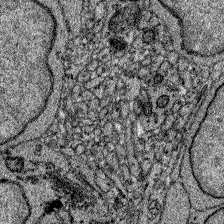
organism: Zebrafish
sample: Larval olfactory bulb